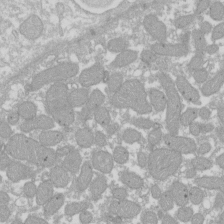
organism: Xenopus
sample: Cilia; centrioles in frog embryo cells